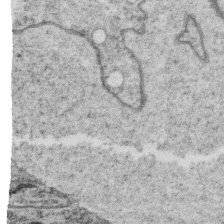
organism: C. elegans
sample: C. elegans oocyte; sperm cells